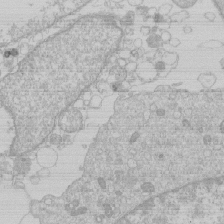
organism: Human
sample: Macrophage cells